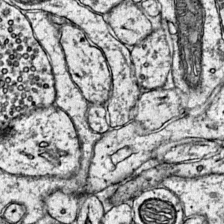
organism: Mouse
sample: Primary visual cortex